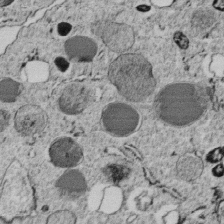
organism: C. elegans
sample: C. elegans embryo early stage